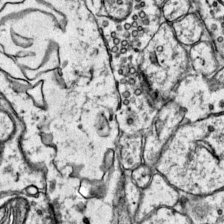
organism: Mouse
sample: Primary visual cortex